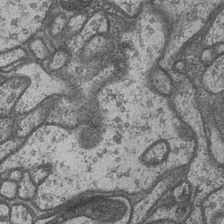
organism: Drosophila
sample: Optic medulla